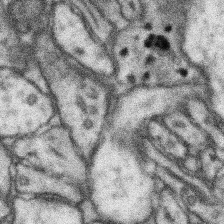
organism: Mouse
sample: Somatosensory cortex neuropil